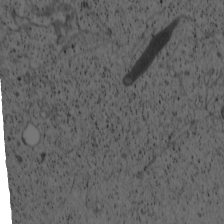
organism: African green monkey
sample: COS-7 cells